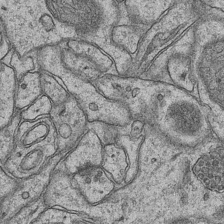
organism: Mouse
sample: CA1 Hippocampus